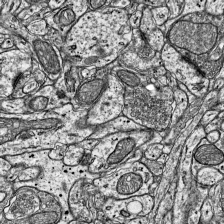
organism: Mouse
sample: Visual Cortex